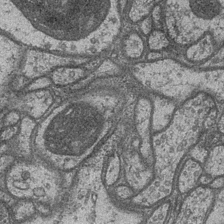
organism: Drosophila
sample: Optic medulla